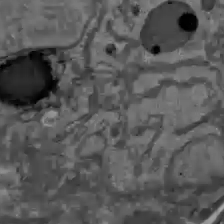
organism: C57BL Mouse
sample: Liver